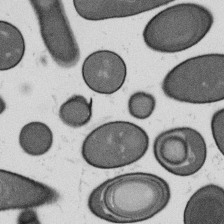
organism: B. subtilis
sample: Bacterial spore